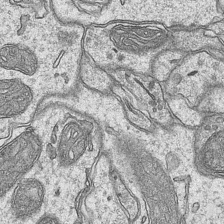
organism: Mouse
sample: CA1 Hippocampus